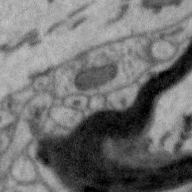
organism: Zebra finch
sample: Brain